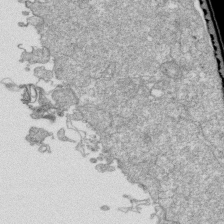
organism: Human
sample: HeLa cell HIV synapse